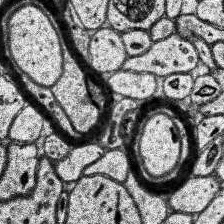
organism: Human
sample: Temporal Lobe